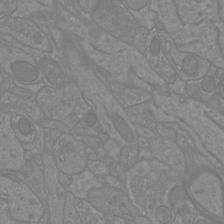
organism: Mouse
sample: Cortical neurons